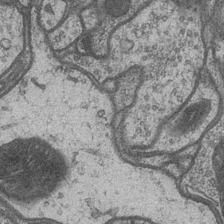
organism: Drosophila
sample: Optic medulla